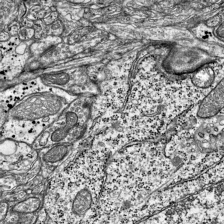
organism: Mouse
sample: Visual Cortex